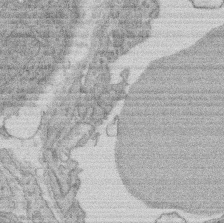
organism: Rat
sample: Salivary granule